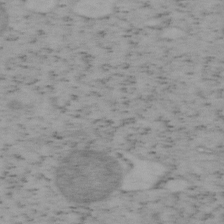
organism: Mouse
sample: OT-I killer T cells with ID8 ovarian cancer cells